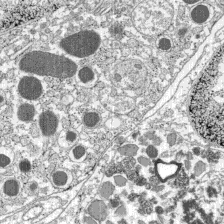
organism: C57BL Mouse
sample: Pancreatic islet